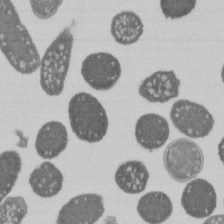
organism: E. coli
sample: Bacterial nucleoid